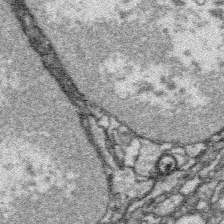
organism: Platynereis dumerilii